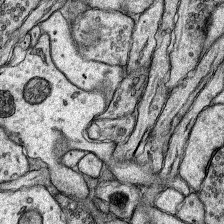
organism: Rat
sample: Hippocampus